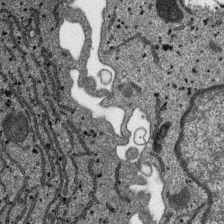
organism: Human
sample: Lung epithelial cells infected with SARS-CoV-2